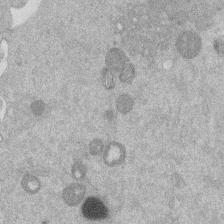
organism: Mouse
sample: Dividing mouse embryo 1 cell stage